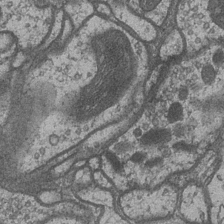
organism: Drosophila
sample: Optic medulla